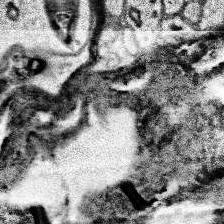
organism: Human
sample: Temporal Lobe